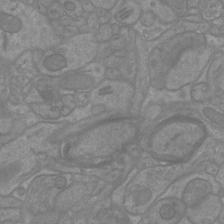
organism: Mouse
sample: Cortical neurons